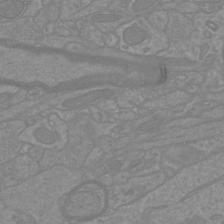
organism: Mouse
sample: Cortical neurons